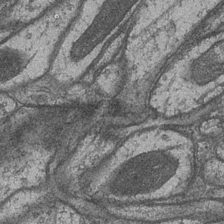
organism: Drosophila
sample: Optic medulla